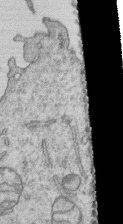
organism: Human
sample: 1205lu cells